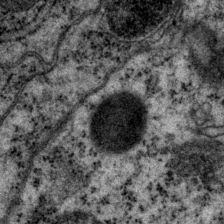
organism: P. pacificus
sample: Pharynx